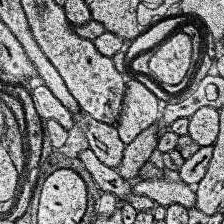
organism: Human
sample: Temporal Lobe